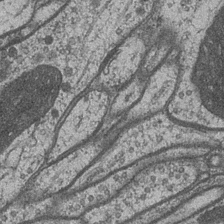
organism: Drosophila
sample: Optic medulla